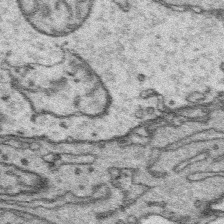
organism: Platynereis dumerilii